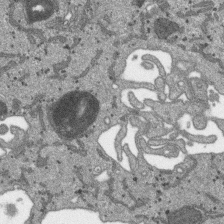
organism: Human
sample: Lung epithelial cells infected with SARS-CoV-2